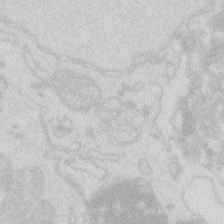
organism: Zebrafish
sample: Macrophage